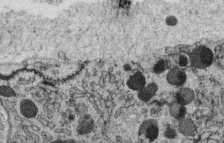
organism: C. elegans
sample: C. elegans oocyte; sperm cells